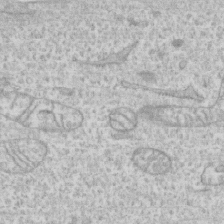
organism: Human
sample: CRL-1474